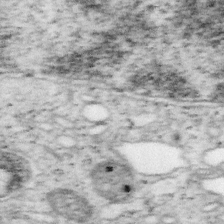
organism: Mouse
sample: OT-I killer T cells with ID8 ovarian cancer cells